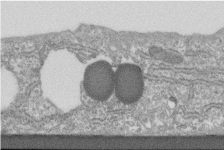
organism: Human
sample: Centriole in fibroblast cells